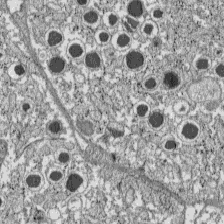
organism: C57BL Mouse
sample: Pancreatic islet